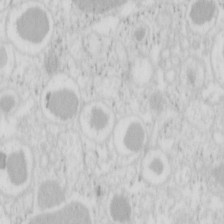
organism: Mouse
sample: Pancreas